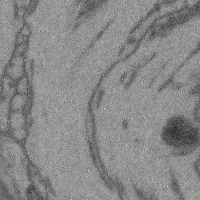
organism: Mouse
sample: Cerebral cortex